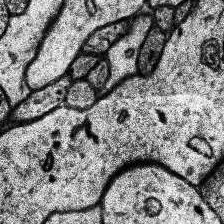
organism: Human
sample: Temporal Lobe